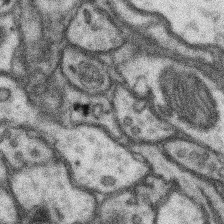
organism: Mouse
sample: Somatosensory cortex neuropil